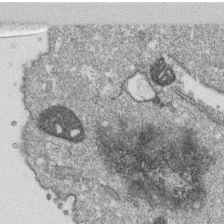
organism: African green monkey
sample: Vero E6 cells infected with SARS-CoV-2